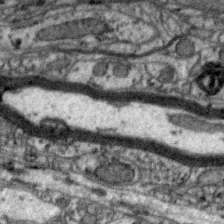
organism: Zebra finch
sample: Brain